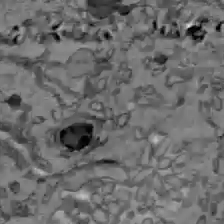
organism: C57BL Mouse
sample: Liver